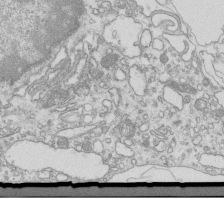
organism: Mouse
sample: Macrophages